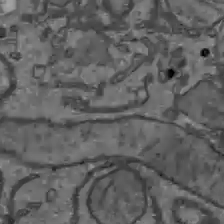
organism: C57BL Mouse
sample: Liver